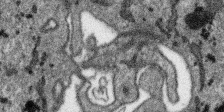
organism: Human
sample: Lung epithelial cells infected with SARS-CoV-2